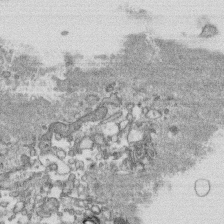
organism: Human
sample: CRL-1474